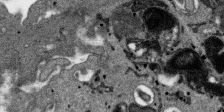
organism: Human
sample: Lung epithelial cells, uninfected (mock) control